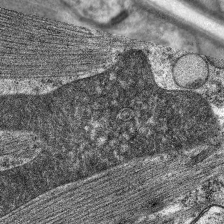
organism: C. elegans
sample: Pharynx